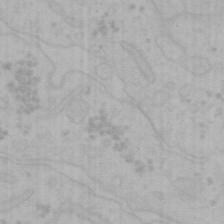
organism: Mouse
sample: Choroid plexus